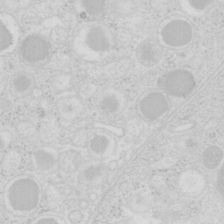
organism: Mouse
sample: Pancreas